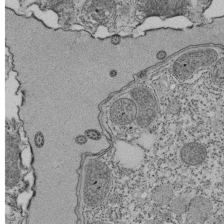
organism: Tetrahymena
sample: Cilia in tetrahymena